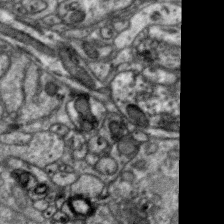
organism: Zebra finch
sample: Brain